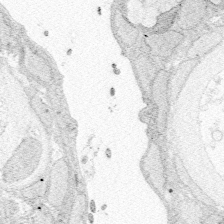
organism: Zebrafish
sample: Whole-Brain